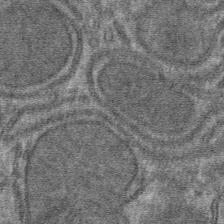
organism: Mouse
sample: Mouse hepatocytes